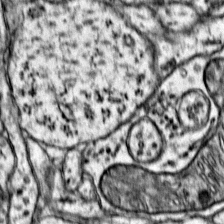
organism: Mouse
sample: Primary visual cortex